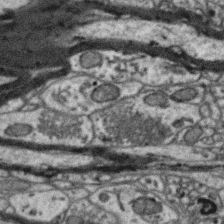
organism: Zebra finch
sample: Brain